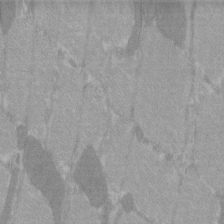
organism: C57BL Mouse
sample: Tibialis anterior muscle cell